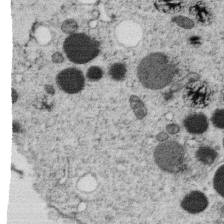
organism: C. elegans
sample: C. elegans oocyte; sperm cells